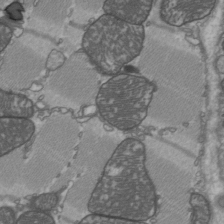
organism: C57BL Mouse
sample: Heart